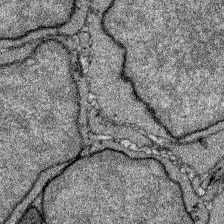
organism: Zebrafish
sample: Larval olfactory bulb